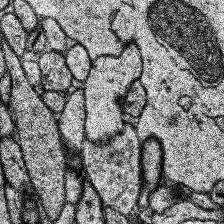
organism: Human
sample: Temporal Lobe